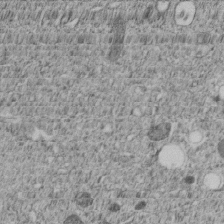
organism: C. elegans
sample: C. elegans embryo early stage